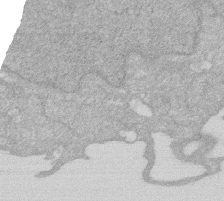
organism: Human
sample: HIV infected U937 cells